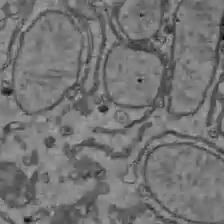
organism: C57BL Mouse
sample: Liver